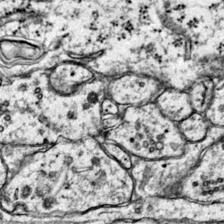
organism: Mouse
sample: Primary visual cortex